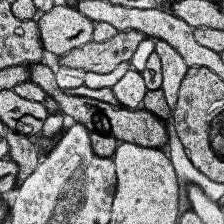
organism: Human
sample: Temporal Lobe